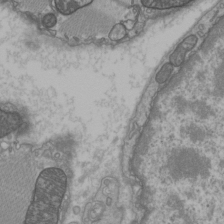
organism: C57BL Mouse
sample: Heart